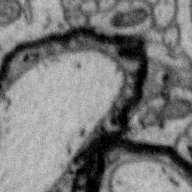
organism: Zebra finch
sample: Brain